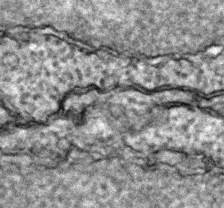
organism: Zebrafish